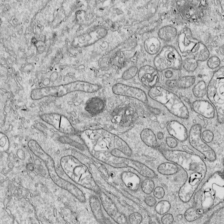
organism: Drosophila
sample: Cell division; meiosis; drosophila spermatocytes